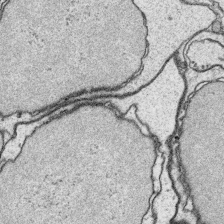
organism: Platynereis dumerilii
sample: Parapodia